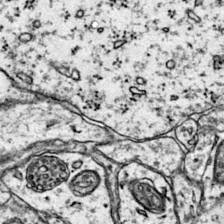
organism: Mouse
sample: Primary visual cortex